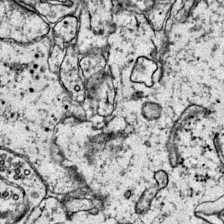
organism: Mouse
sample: Primary visual cortex